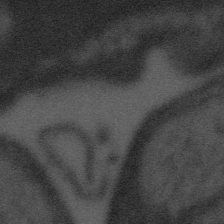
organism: Tuwongella immobilis